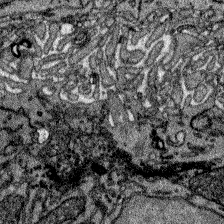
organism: Zebrafish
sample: Larval olfactory bulb